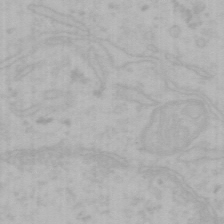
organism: Mouse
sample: Choroid plexus